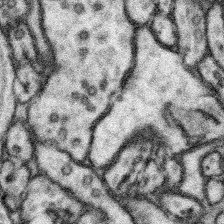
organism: Mouse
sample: Somatosensory cortex neuropil